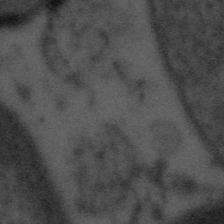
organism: Tuwongella immobilis